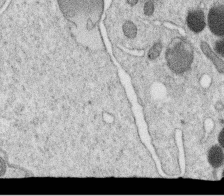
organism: C. elegans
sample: C. elegans oocyte; sperm cells